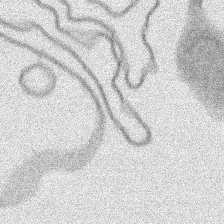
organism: Human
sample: Mitochondria in HCT116 cells